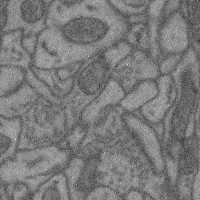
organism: Mouse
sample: Cerebral cortex